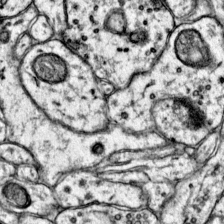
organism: Mouse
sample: Primary visual cortex